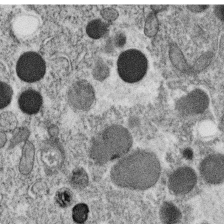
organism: C. elegans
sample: C. elegans oocyte; sperm cells